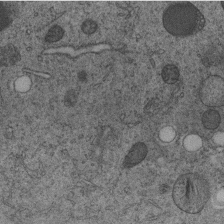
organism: C. elegans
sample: C. elegans embryo early stage